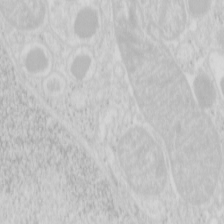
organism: Mouse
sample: Pancreas